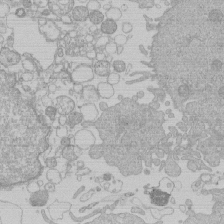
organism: Human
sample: Macrophage cells